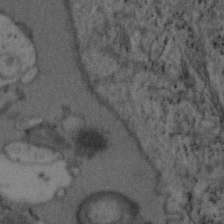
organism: Human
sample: HeLa cells